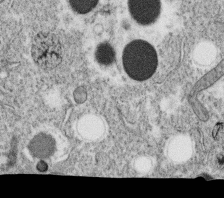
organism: C. elegans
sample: C. elegans oocyte; sperm cells